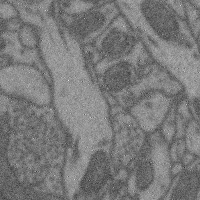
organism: Mouse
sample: Cerebral cortex